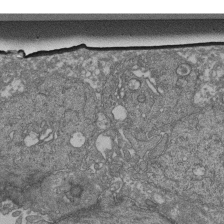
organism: Human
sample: Retinal organoid Rod and Cone cells